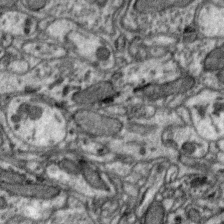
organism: Zebra finch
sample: Brain